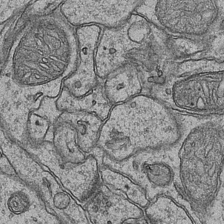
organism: Mouse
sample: CA1 Hippocampus